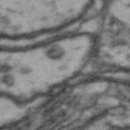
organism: Drosophila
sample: Brain